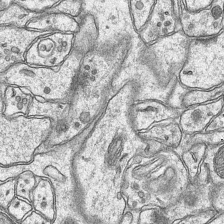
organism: Mouse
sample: CA1 Hippocampus